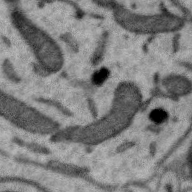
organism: Zebra finch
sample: Brain